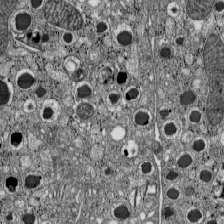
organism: C57BL Mouse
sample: Pancreatic islet